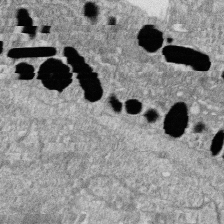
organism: Zebrafish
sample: Cilia; retinal pigment epithelium